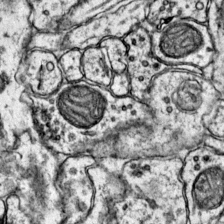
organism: Mouse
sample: Primary visual cortex